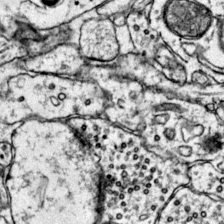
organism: Mouse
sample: Primary visual cortex